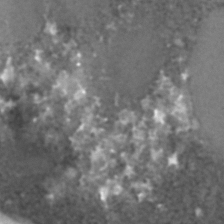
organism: C. elegans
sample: C. elegans embryo